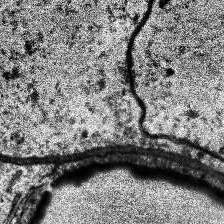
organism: Human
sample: Temporal Lobe